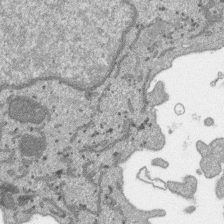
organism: Human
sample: Lung epithelial cells infected with SARS-CoV-2